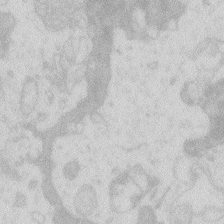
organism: Zebrafish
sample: Macrophage